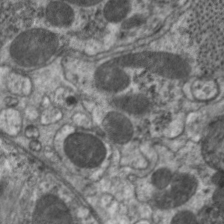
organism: C. elegans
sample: Pharynx